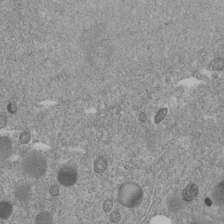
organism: C. elegans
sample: C. elegans embryo early stage